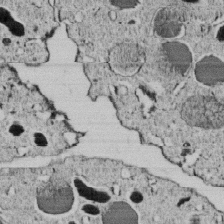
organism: C. elegans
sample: C. elegans embryo early stage